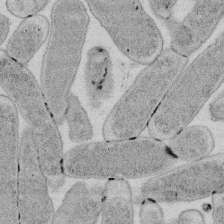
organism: E. coli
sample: Bacterial nucleoid